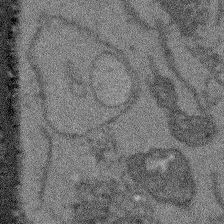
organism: Arabidopsis thaliana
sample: Root tip